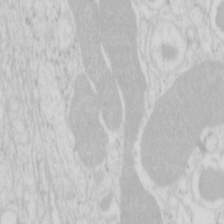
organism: Mouse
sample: Pancreas